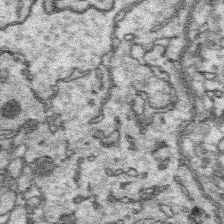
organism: Platynereis dumerilii